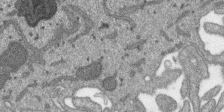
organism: Human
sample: Lung epithelial cells infected with SARS-CoV-2